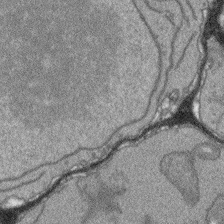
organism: Arabidopsis thaliana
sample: Root tip